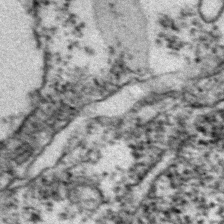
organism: Zebrafish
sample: Zebrafish embryo